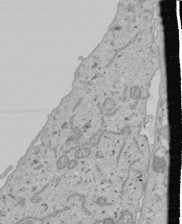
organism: Human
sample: Mitochondria in U2OS cells